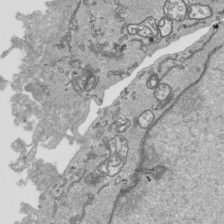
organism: Human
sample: Mitochondria in HCT116 cells